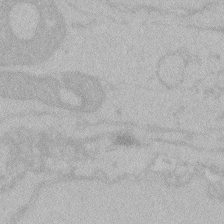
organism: Zebrafish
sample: Macrophage infected with Toxoplasma gondii